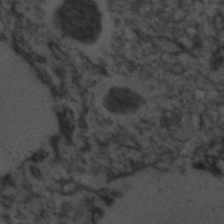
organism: C. elegans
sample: C. elegans embryo